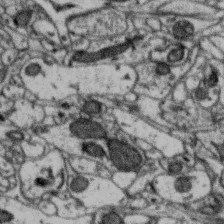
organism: Zebra finch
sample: Brain